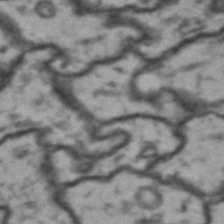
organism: Drosophila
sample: Brain